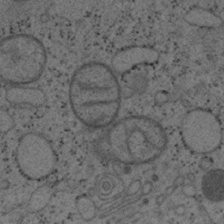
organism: Human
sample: HeLa cells